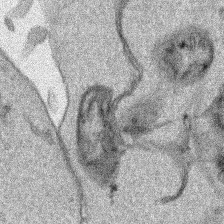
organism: Human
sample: Mitochondria in HCT116 cells